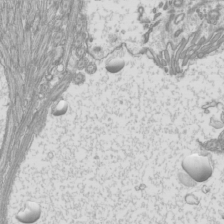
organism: Mouse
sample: Cilia; mouse epididymis